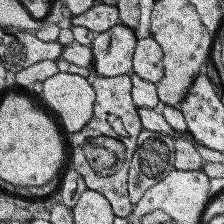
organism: Human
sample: Temporal Lobe